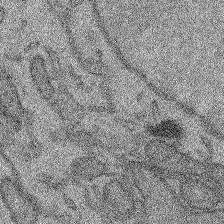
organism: Human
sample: HeLa cells